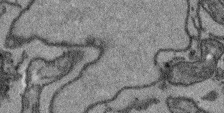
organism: Arabidopsis thaliana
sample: Root tip